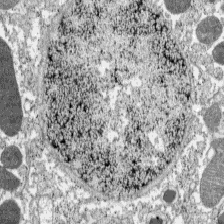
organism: C57BL Mouse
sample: Pancreatic islet